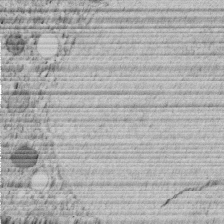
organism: C. elegans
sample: C. elegans embryo early stage